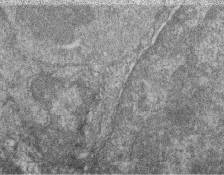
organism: Zebrafish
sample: Cilia; retinal pigment epithelium